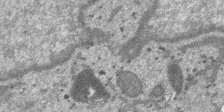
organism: Human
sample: Lung epithelial cells infected with SARS-CoV-2